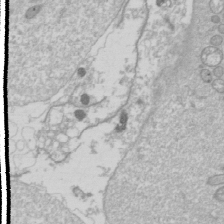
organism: Drosophila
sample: Cell division; meiosis; drosophila spermatocytes